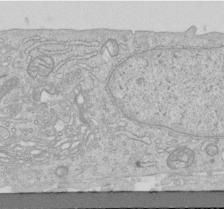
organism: Human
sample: Centriole in RPE cells